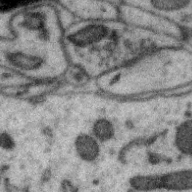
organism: Zebra finch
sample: Brain